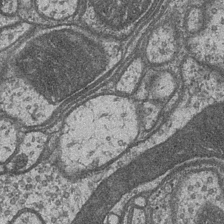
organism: Drosophila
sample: Optic medulla